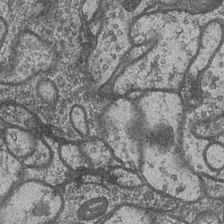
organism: Drosophila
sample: Optic medulla